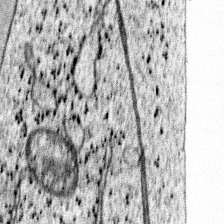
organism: Human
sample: HeLa cells